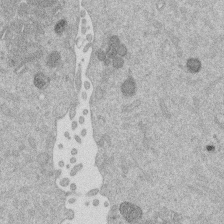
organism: Mouse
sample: Dividing mouse embryo 1 cell stage